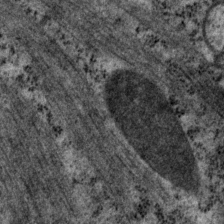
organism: P. pacificus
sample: Pharynx